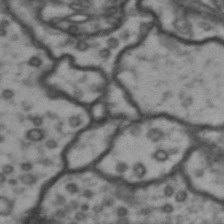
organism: Drosophila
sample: Brain